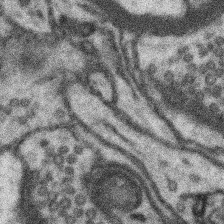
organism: Mouse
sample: Somatosensory cortex neuropil